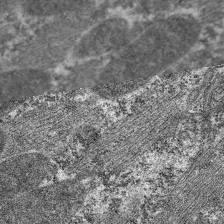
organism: C. elegans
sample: Pharynx